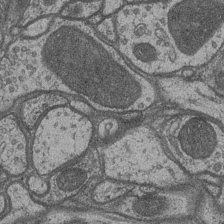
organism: Drosophila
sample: Optic medulla